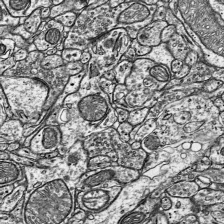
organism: Mouse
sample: Visual Cortex